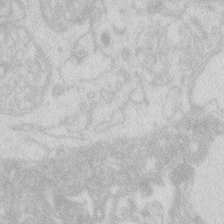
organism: Zebrafish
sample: Macrophage